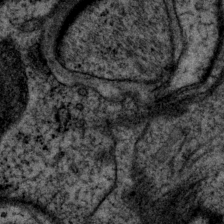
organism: P. pacificus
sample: Pharynx